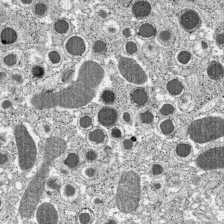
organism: C57BL Mouse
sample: Pancreatic islet